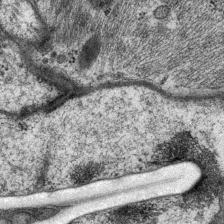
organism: P. pacificus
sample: Pharynx